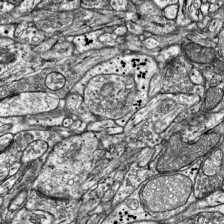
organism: Mouse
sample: Visual Cortex